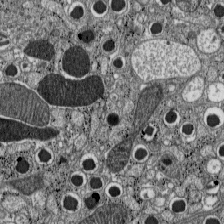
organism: C57BL Mouse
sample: Pancreatic islet